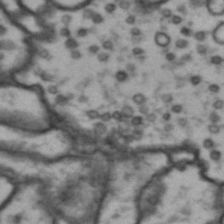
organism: Drosophila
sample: Brain